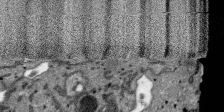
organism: Human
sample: Lung epithelial cells, uninfected (mock) control